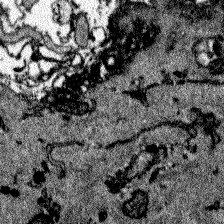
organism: Zebrafish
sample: Larval olfactory bulb